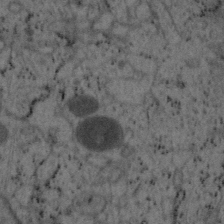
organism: Human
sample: HeLa cells